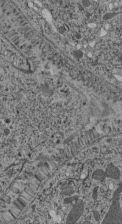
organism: C. elegans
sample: C. elegans pharynx